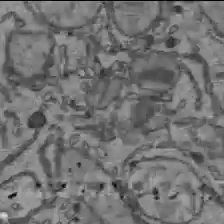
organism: C57BL Mouse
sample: Liver